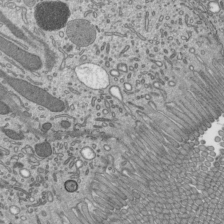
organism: Mouse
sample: Mouse epididymis efferent ductule cilia